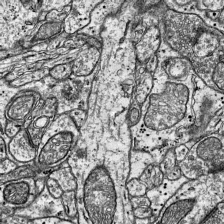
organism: Mouse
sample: Visual Cortex